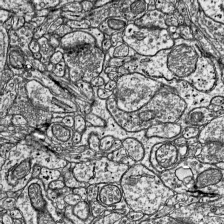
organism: Mouse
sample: Visual Cortex